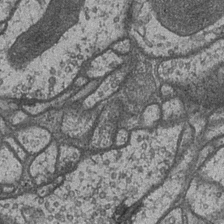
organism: Drosophila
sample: Optic medulla